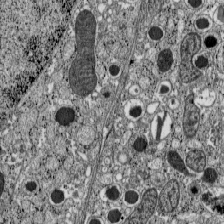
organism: C57BL Mouse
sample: Pancreatic islet